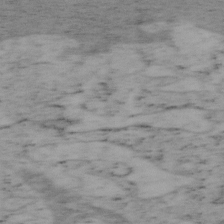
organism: Mouse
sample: OT-I killer T cells with ID8 ovarian cancer cells